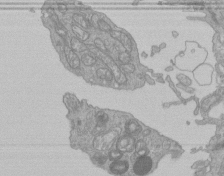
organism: Human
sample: Retinal organoid Rod and Cone cells